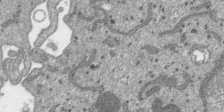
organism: Human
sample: Lung epithelial cells infected with SARS-CoV-2